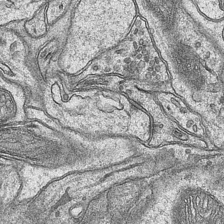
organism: Mouse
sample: CA1 Hippocampus